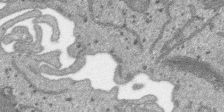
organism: Human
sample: Lung epithelial cells infected with SARS-CoV-2